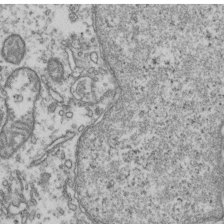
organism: Human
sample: Activated Jurkat CD4+ T cells